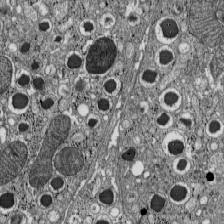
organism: C57BL Mouse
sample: Pancreatic islet